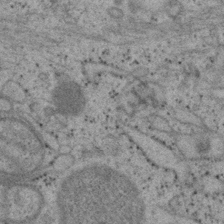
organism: Human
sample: HeLa cells